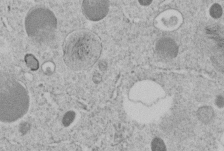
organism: C. elegans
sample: C. elegans embryo early stage